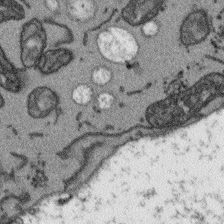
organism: Arabidopsis thaliana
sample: Root tip